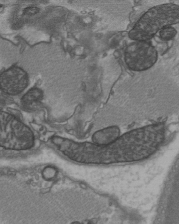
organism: C57BL Mouse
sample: Heart